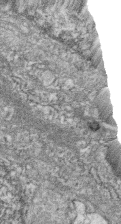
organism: Zebrafish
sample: Cilia; retinal pigment epithelium